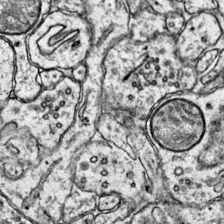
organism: Mouse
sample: Primary visual cortex